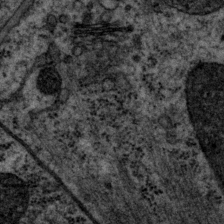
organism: P. pacificus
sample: Pharynx